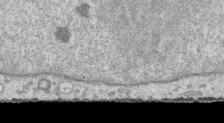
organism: Human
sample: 1205lu cells